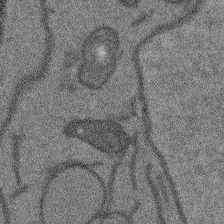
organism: Arabidopsis thaliana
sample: Root tip